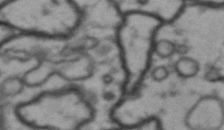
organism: Drosophila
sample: Brain